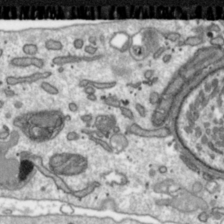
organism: Toxoplasma gondii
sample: Parasites in a vacuole inside a host cell